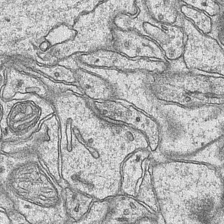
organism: Mouse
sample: CA1 Hippocampus